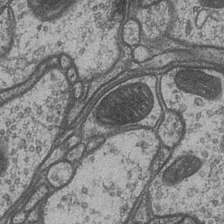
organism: Drosophila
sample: Optic medulla